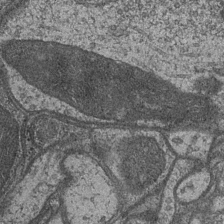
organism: Drosophila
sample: Optic medulla